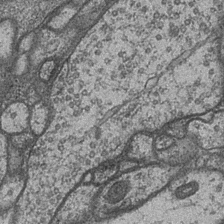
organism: Drosophila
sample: Optic medulla